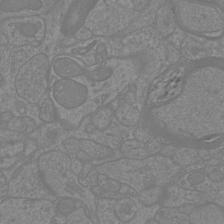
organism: Mouse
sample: Cortical neurons